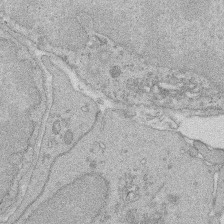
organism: Rat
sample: Salivary granule